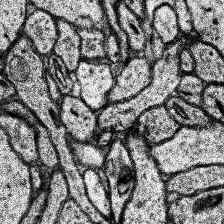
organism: Human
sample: Temporal Lobe